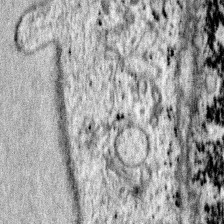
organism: Human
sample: HeLa cells